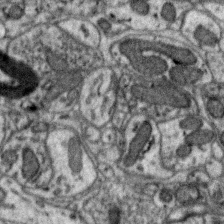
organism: Zebra finch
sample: Brain